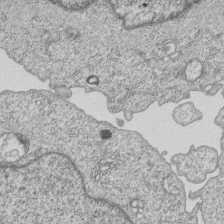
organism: Human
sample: MDA-MB-231 cells